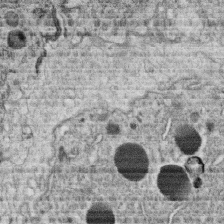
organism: C. elegans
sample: C. elegans oocyte; sperm cells